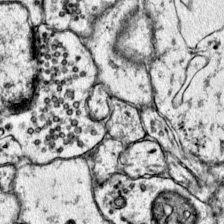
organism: Mouse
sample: Primary visual cortex